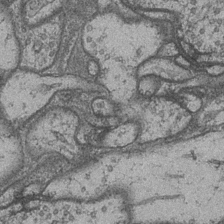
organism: Drosophila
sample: Optic medulla